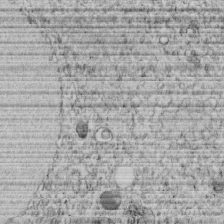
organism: C. elegans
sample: C. elegans embryo early stage